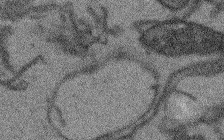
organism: Arabidopsis thaliana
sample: Root tip